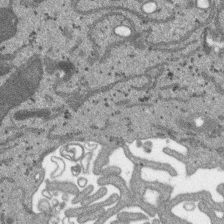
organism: Human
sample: Lung epithelial cells infected with SARS-CoV-2